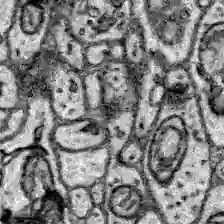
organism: Zebrafish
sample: Brain